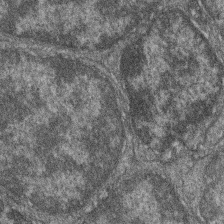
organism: Zebrafish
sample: Cilia; retinal pigment epithelium